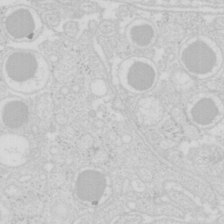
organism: Mouse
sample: Pancreas